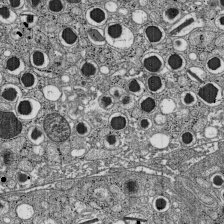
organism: C57BL Mouse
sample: Pancreatic islet